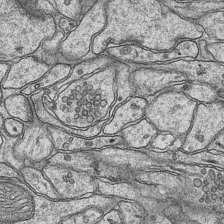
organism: Mouse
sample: CA1 Hippocampus